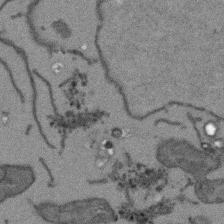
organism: Arabidopsis thaliana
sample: Root tip